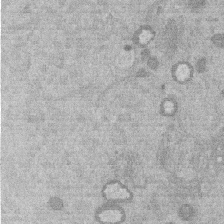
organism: Mouse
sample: Dividing mouse embryo 1 cell stage